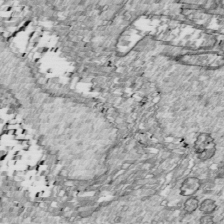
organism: Drosophila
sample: Cell division; meiosis; drosophila spermatocytes